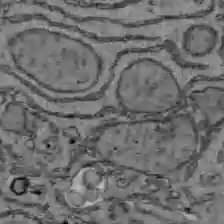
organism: C57BL Mouse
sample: Liver